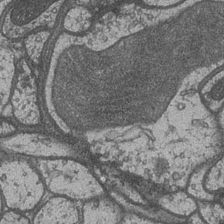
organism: Drosophila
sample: Optic medulla